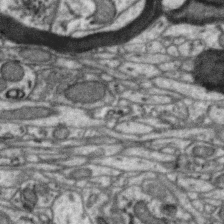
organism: Zebra finch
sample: Brain